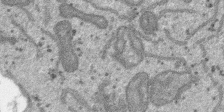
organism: Human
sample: Lung epithelial cells infected with SARS-CoV-2